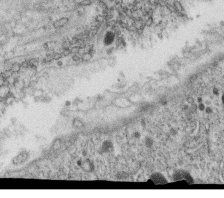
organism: C. elegans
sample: C. elegans oocyte; sperm cells